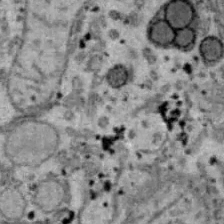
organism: Mouse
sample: Liver from an obese (ob/ob) mouse